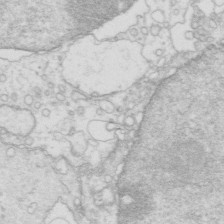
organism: Mouse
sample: Multiciliated cells